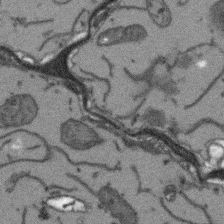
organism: Arabidopsis thaliana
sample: Root tip